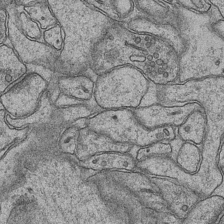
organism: Mouse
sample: CA1 Hippocampus